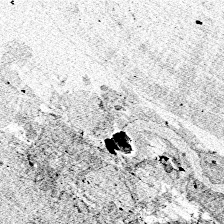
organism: Zebrafish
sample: Whole-Brain